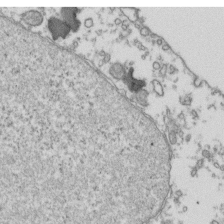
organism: Human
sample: Activated Jurkat CD4+ T cells